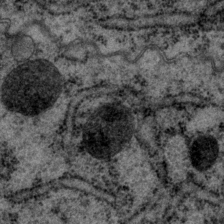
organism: P. pacificus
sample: Pharynx